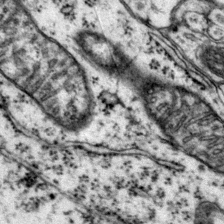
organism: Mouse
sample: Primary visual cortex